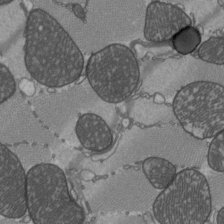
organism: C57BL Mouse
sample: Heart